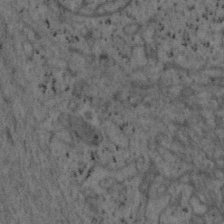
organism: Human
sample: HeLa cells